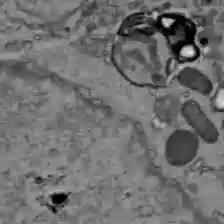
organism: C57BL Mouse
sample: Liver